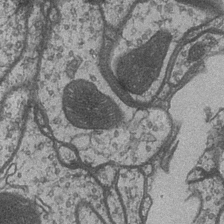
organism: Drosophila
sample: Optic medulla